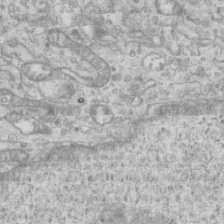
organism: Mouse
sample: Centriole in ependymal cells